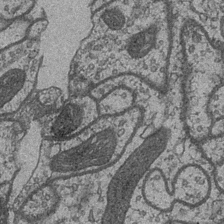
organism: Drosophila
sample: Optic medulla